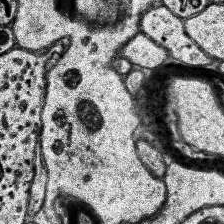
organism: Human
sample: Temporal Lobe